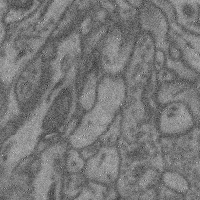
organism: Mouse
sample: Cerebral cortex